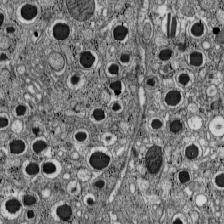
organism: C57BL Mouse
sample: Pancreatic islet